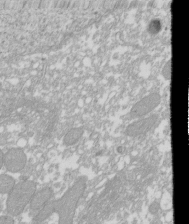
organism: Xenopus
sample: Cilia; centrioles in frog embryo cells